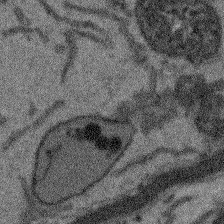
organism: Arabidopsis thaliana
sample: Root tip